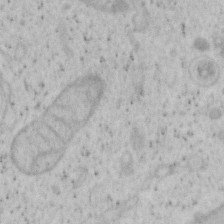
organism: Human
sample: HeLa cells